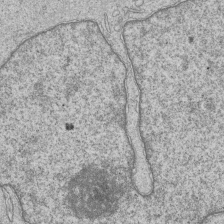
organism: Human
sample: MDA-MB-231 cells